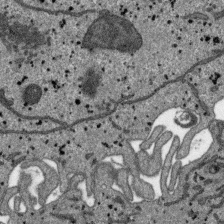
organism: Human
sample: Lung epithelial cells, uninfected (mock) control